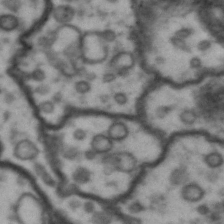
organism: Drosophila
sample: Brain